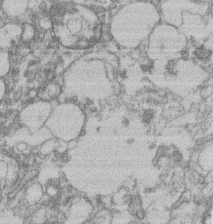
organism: Mouse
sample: T cell stromal cell synapse